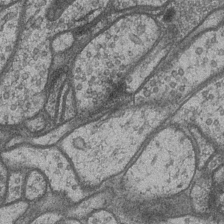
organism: Drosophila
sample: Optic medulla